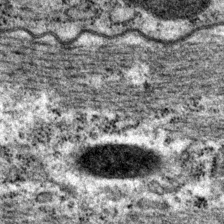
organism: P. pacificus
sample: Pharynx